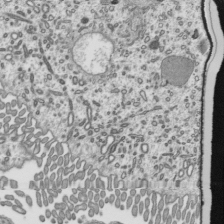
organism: Mouse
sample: Mouse epididymis efferent ductule cilia